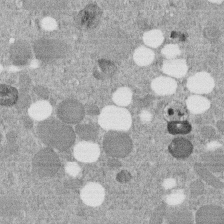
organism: C. elegans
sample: C. elegans embryo early stage